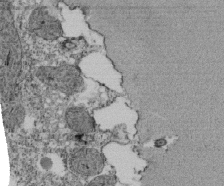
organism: Tetrahymena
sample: Cilia in tetrahymena